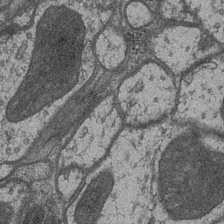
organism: Drosophila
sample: Optic medulla